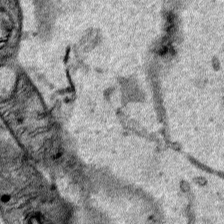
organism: Human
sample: Mitochondria in HCT116 cells